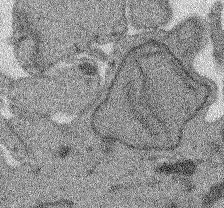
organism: Human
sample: HeLa cells